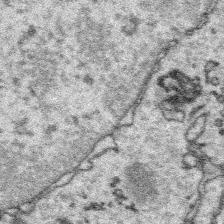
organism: Platynereis dumerilii